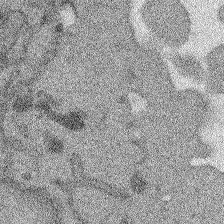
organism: Human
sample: HeLa cells